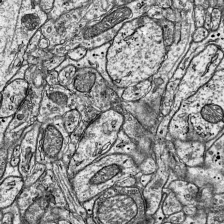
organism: Mouse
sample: Visual Cortex